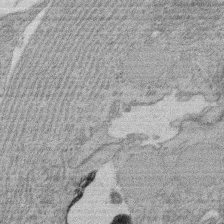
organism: Rat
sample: Salivary granule